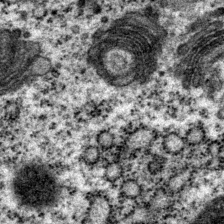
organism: P. pacificus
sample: Pharynx